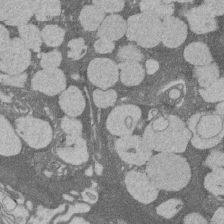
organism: Rat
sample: Salivary granule